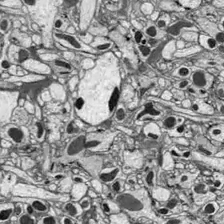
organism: Drosophila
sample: Optic lobe